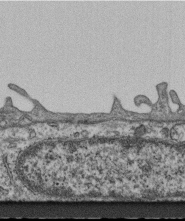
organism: Mouse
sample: Centriole in ependymal cells